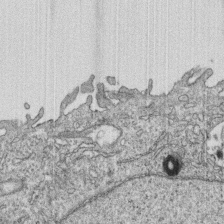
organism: Human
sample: HeLa cell HIV synapse